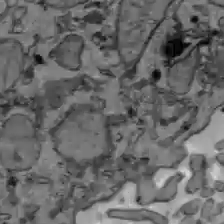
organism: C57BL Mouse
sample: Liver